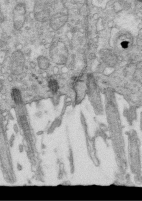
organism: Mouse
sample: Multiciliated cells